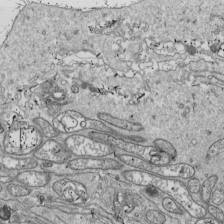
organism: Drosophila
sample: Cell division; meiosis; drosophila spermatocytes